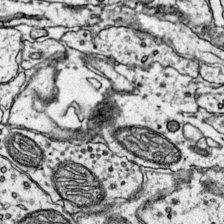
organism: Mouse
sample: Primary visual cortex